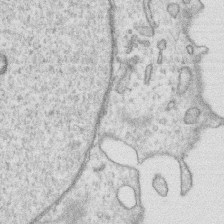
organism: Human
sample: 1205lu cells